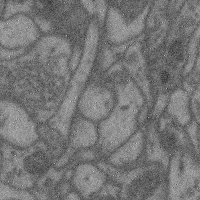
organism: Mouse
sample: Cerebral cortex